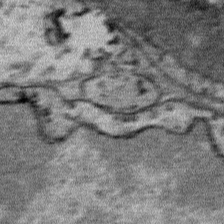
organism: Mouse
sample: Mouse Salivary gland